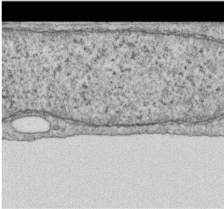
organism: Human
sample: Centriole in RPE cells